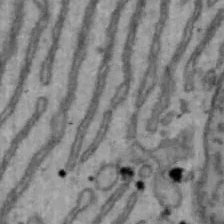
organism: Mouse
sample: Liver